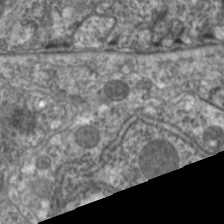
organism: C. elegans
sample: Pharynx